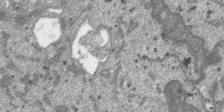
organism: Human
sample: Lung epithelial cells infected with SARS-CoV-2